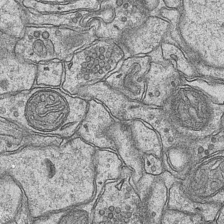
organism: Mouse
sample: CA1 Hippocampus